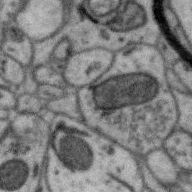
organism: Zebra finch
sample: Brain